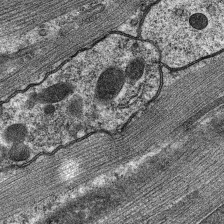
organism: C. elegans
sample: Pharynx